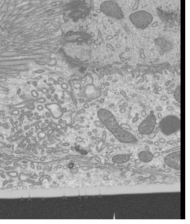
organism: Mouse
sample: Cilia; mouse epididymis